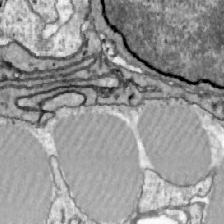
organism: Zebrafish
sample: Actinotrichia fibers